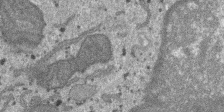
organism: Human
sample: Lung epithelial cells infected with SARS-CoV-2